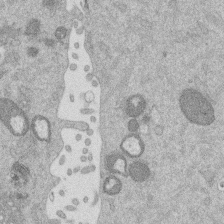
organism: Mouse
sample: Dividing mouse embryo 1 cell stage